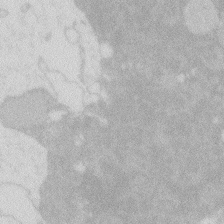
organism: Zebrafish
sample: Macrophage